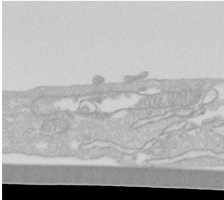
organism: Human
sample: Fibroblast cells